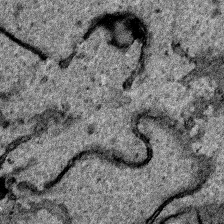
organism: Human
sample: Mitochondria in HCT116 cells